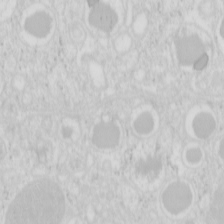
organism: Mouse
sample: Pancreas